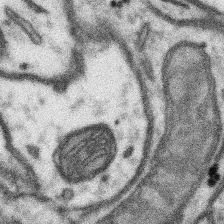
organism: Mouse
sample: Somatosensory cortex neuropil